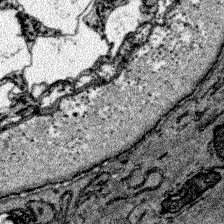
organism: Zebrafish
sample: Larval olfactory bulb